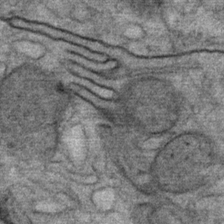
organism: Mouse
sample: Mouse Salivary gland